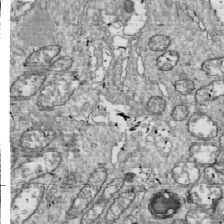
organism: Drosophila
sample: Cell division; meiosis; drosophila spermatocytes